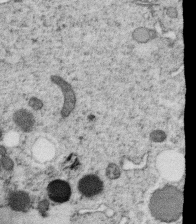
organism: C. elegans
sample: C. elegans oocyte; sperm cells